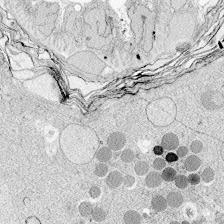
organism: Zebrafish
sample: Whole-Brain